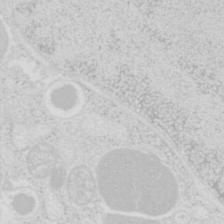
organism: Mouse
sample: Pancreas